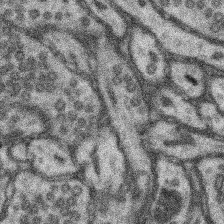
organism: Mouse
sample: Somatosensory cortex neuropil